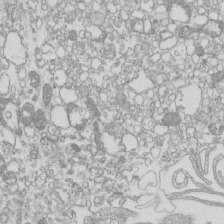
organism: Mouse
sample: Macrophages